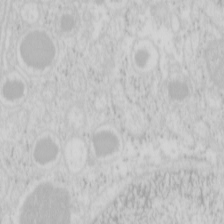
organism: Mouse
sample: Pancreas